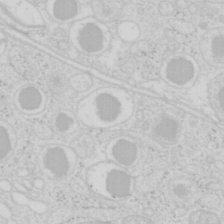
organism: Mouse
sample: Pancreas